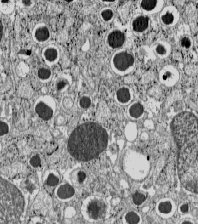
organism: C57BL Mouse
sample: Pancreatic islet